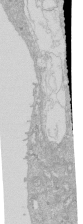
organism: Human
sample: Caco-2 cells